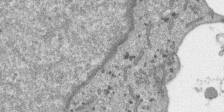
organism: Human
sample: Lung epithelial cells infected with SARS-CoV-2